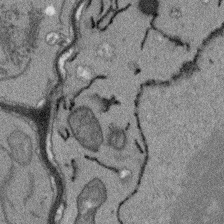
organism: Arabidopsis thaliana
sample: Root tip